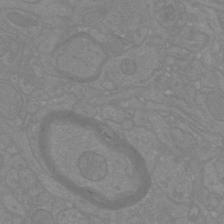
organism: Mouse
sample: Cortical neurons